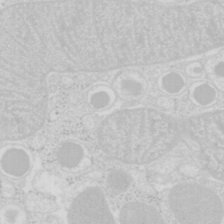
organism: Mouse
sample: Pancreas